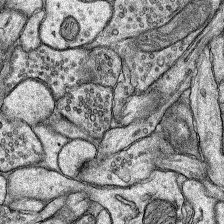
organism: Rat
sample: Hippocampus